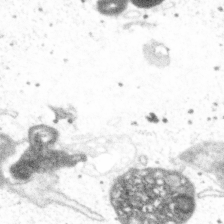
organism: Human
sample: HeLa cells